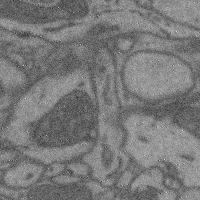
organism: Mouse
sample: Cerebral cortex